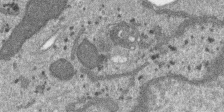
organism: Human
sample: Lung epithelial cells infected with SARS-CoV-2